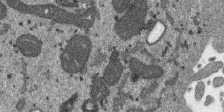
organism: Human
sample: Lung epithelial cells infected with SARS-CoV-2